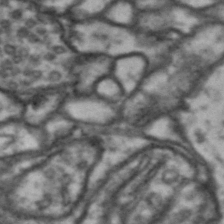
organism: Drosophila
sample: Brain